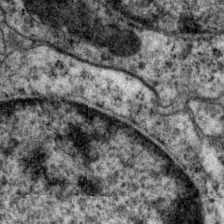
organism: P. pacificus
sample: Pharynx